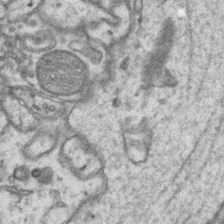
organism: Mouse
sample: CA1 Hippocampus